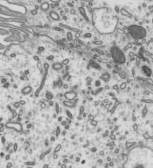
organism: Mouse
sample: Mouse epididymis efferent ductule cilia